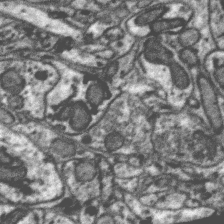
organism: Zebra finch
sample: Brain